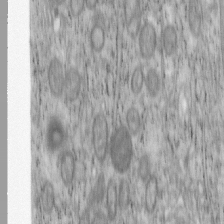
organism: Human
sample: HeLa cells